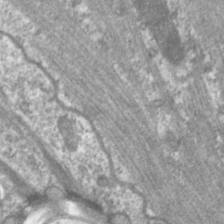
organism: C. elegans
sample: Pharynx